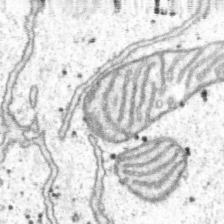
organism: Human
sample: HeLa cells